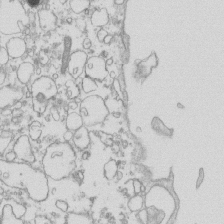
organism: Mouse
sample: Macrophages